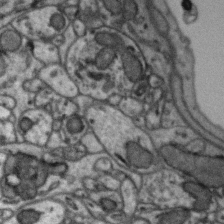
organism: Zebra finch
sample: Brain